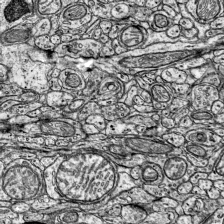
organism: Mouse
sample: Visual Cortex